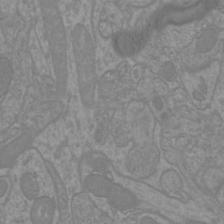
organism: Mouse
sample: Cortical neurons